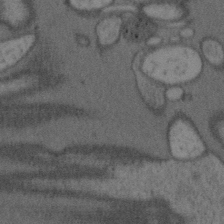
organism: Human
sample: HeLa cells